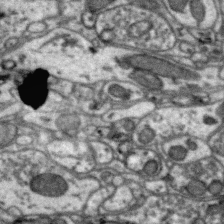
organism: Zebra finch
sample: Brain